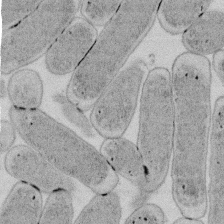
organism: E. coli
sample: Bacterial nucleoid